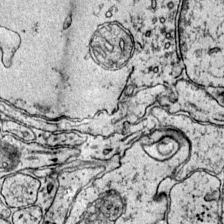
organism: Mouse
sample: Primary visual cortex